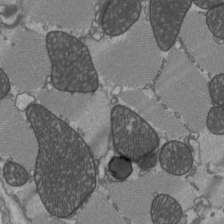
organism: C57BL Mouse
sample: Heart